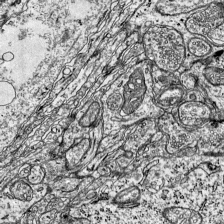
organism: Mouse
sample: Visual Cortex